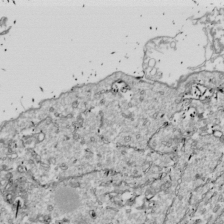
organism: Drosophila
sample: Cell division; meiosis; drosophila spermatocytes